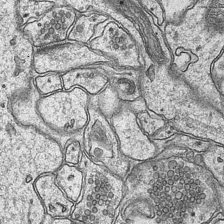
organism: Mouse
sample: CA1 Hippocampus